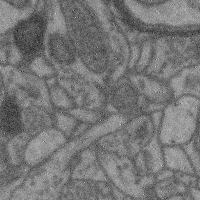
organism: Mouse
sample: Cerebral cortex